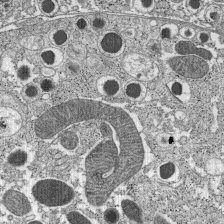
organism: C57BL Mouse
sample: Pancreatic islet